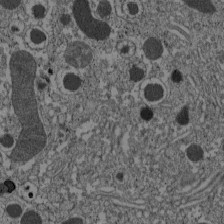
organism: C57BL Mouse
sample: Pancreatic islet